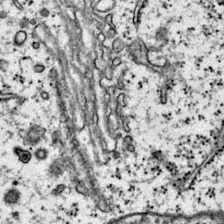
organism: Mouse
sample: Primary visual cortex